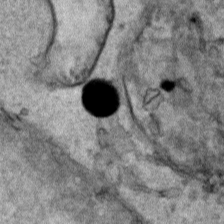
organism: Human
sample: Mitochondria in HCT116 cells